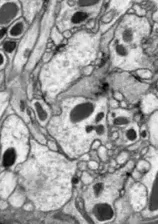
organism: Drosophila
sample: Optic lobe